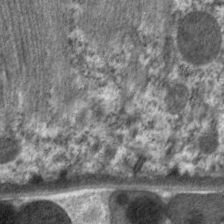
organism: C. elegans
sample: Pharynx